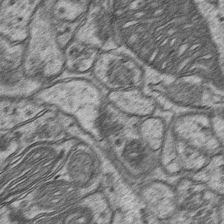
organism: Mouse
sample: CA1 Hippocampus